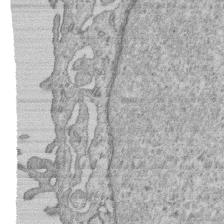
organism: Human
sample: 1205lu cells